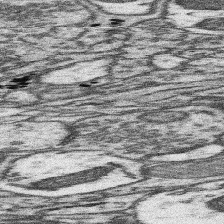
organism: Mouse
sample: Somatosensory cortex neuropil